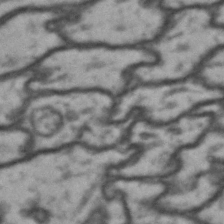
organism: Drosophila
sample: Brain